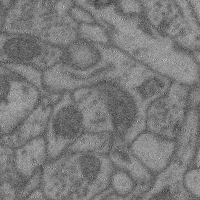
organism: Mouse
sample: Cerebral cortex